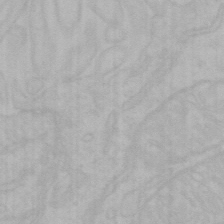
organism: Mouse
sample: Choroid plexus